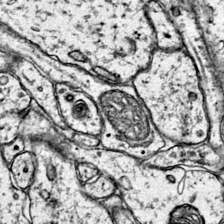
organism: Mouse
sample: Primary visual cortex